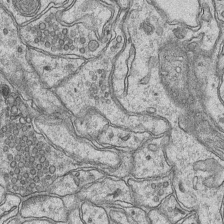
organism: Mouse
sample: CA1 Hippocampus